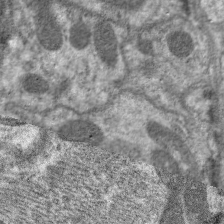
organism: C. elegans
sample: Pharynx